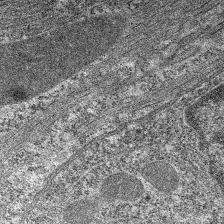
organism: C. elegans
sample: Pharynx